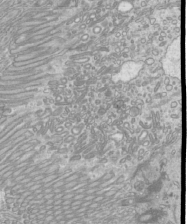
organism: Mouse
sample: Cilia; mouse epididymis